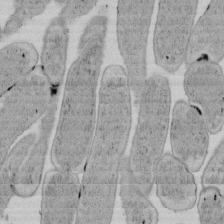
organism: E. coli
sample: Bacterial nucleoid